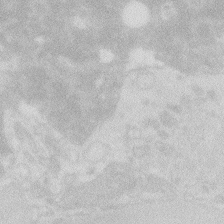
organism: Zebrafish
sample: Macrophage